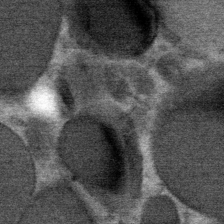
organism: Mouse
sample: Mouse Salivary gland